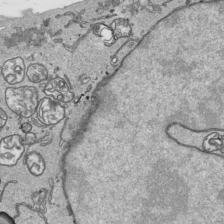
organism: Human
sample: Mitochondria in HCT116 cells